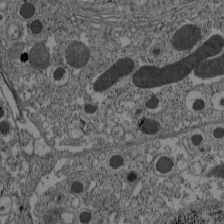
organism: C57BL Mouse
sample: Pancreatic islet